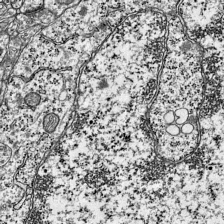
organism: Mouse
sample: Visual Cortex